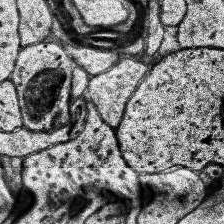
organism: Human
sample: Temporal Lobe